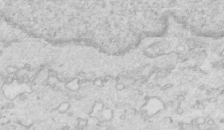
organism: Mouse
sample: Multiciliated cells